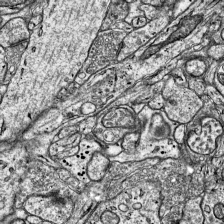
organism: Mouse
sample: Visual Cortex